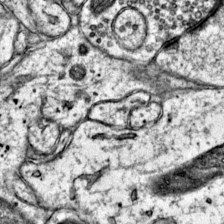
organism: Mouse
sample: Primary visual cortex